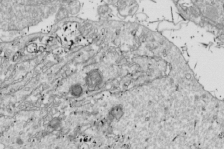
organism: Drosophila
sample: Cell division; meiosis; drosophila spermatocytes